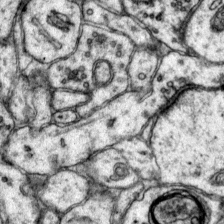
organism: Mouse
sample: Primary visual cortex